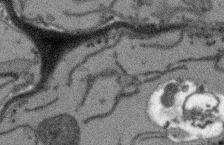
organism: Arabidopsis thaliana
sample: Root tip